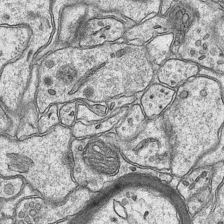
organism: Mouse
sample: CA1 Hippocampus